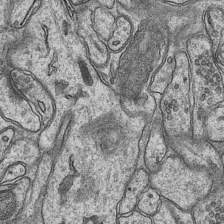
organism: Mouse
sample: CA1 Hippocampus